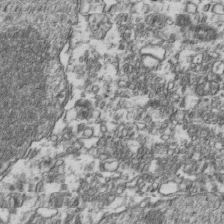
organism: Human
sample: Activated Jurkat CD4+ T cells